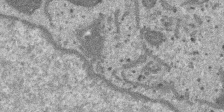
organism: Human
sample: Lung epithelial cells infected with SARS-CoV-2